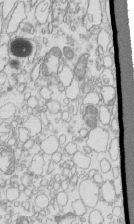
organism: Mouse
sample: Macrophages